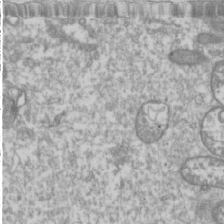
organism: Drosophila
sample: Cell division; meiosis; drosophila spermatocytes